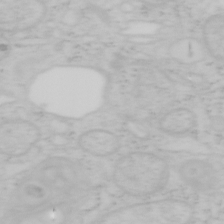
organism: Mouse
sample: OT-I killer T cells with ID8 ovarian cancer cells